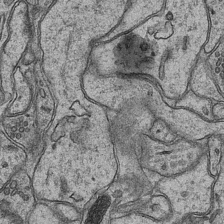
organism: Mouse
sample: CA1 Hippocampus